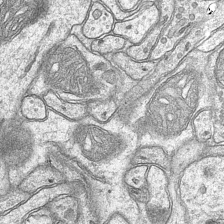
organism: Mouse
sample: CA1 Hippocampus